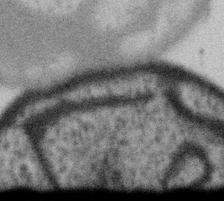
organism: Gemmata obscuriglobus